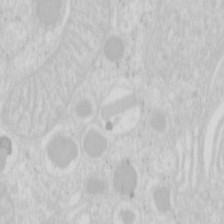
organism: Mouse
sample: Pancreas